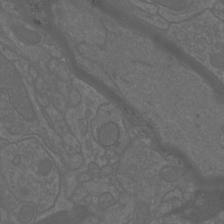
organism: Mouse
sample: Cortical neurons